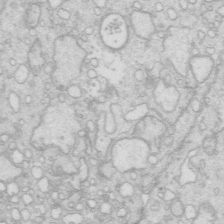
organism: Mouse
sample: Multiciliated cells